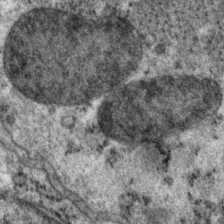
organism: P. pacificus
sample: Pharynx